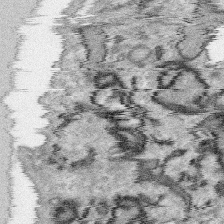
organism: Human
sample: HeLa cells